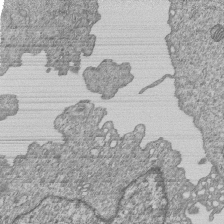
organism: Human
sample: MDA-MB-231 cells